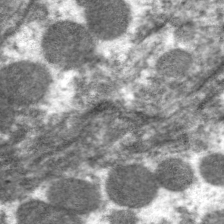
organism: C. elegans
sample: Pharynx